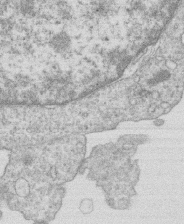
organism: Human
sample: Macrophage cells